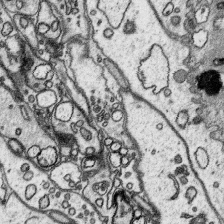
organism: Platynereis dumerilii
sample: Parapodia